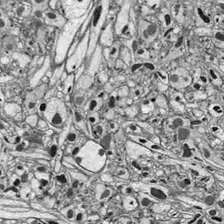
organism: Drosophila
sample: Optic lobe